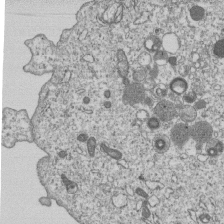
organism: Human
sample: MDA-MB-231 cells